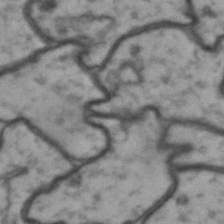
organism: Drosophila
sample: Brain